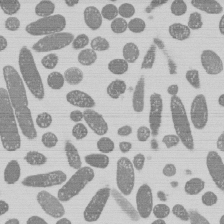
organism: E. coli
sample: Bacterial nucleoid